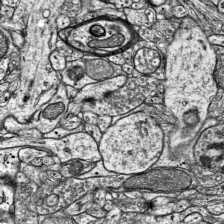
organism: Mouse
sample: Visual Cortex